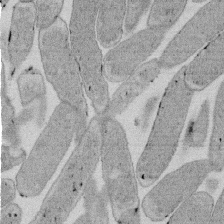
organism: E. coli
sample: Bacterial nucleoid